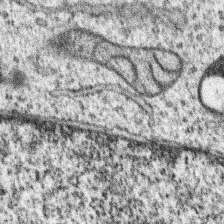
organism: Human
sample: HeLa cells